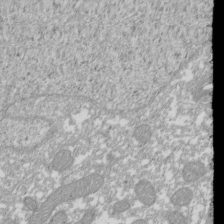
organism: Xenopus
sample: Cilia; centrioles in frog embryo cells